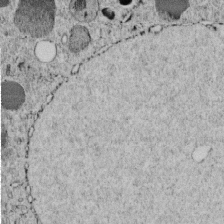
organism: C. elegans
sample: C. elegans embryo early stage